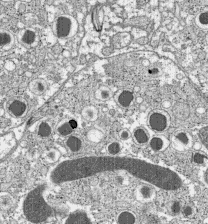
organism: C57BL Mouse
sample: Pancreatic islet